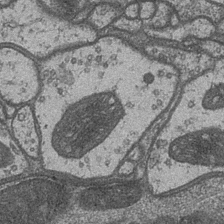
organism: Drosophila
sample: Optic medulla